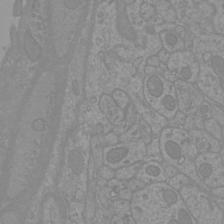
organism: Mouse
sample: Cortical neurons